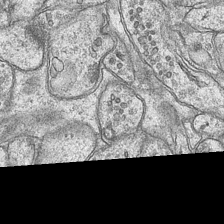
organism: Mouse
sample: CA1 Hippocampus